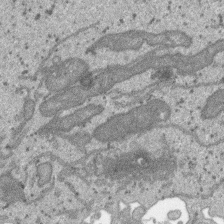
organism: Human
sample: Lung epithelial cells infected with SARS-CoV-2